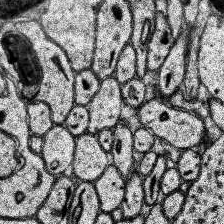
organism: Human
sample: Temporal Lobe